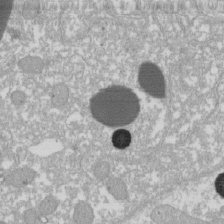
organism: Xenopus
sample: Cilia; centrioles in frog embryo cells